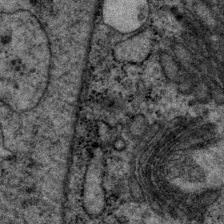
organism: P. pacificus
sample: Pharynx